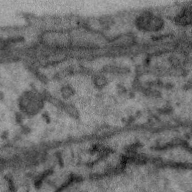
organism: Zebra finch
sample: Brain